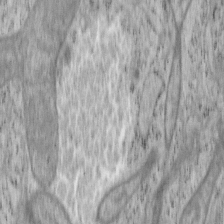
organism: Human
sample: HeLa cells